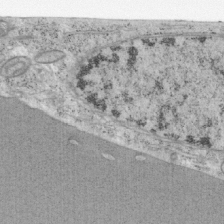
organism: Human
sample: HeLa cells